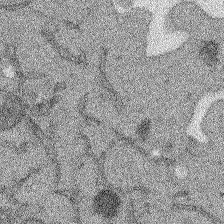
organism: Human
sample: HeLa cells